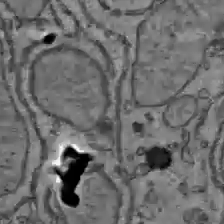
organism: C57BL Mouse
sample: Liver